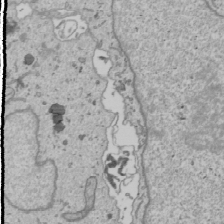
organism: Human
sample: Mitochondria in U2OS cells